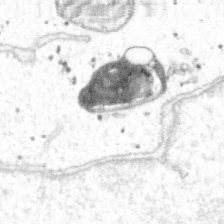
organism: Human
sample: HeLa cells